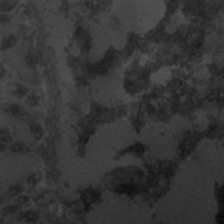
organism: C. elegans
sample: C. elegans embryo